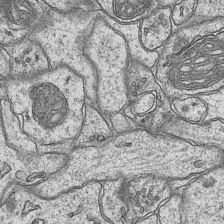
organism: Mouse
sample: CA1 Hippocampus